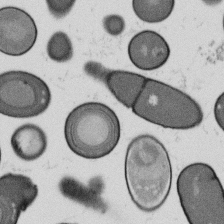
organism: B. subtilis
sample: Bacterial spore